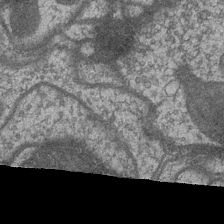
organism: Drosophila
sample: Optic medulla